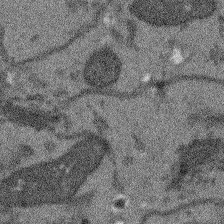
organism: Arabidopsis thaliana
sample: Root tip